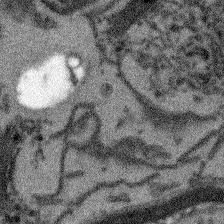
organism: Arabidopsis thaliana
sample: Root tip